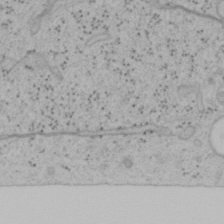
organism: Human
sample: HeLa cells